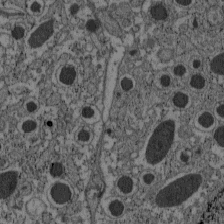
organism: C57BL Mouse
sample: Pancreatic islet